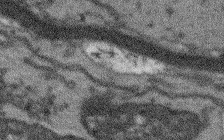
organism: Arabidopsis thaliana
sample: Root tip